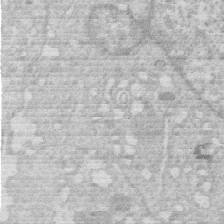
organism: Human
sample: Macrophage cells